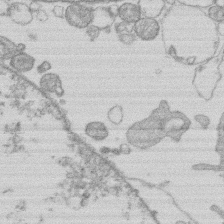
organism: Human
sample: Macrophage cells